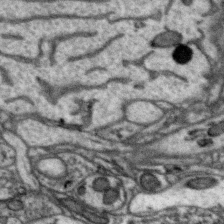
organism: Zebra finch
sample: Brain